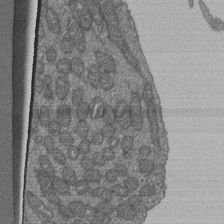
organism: Human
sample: Retinal organoid Rod and Cone cells